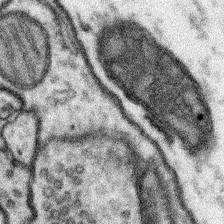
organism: Mouse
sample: Somatosensory cortex neuropil